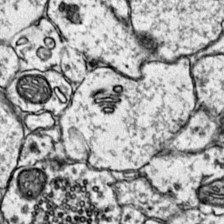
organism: Mouse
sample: Primary visual cortex